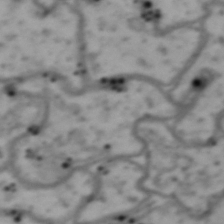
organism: Drosophila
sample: Brain